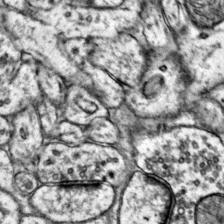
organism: Mouse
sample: Primary visual cortex